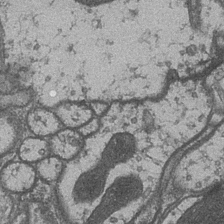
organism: Drosophila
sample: Optic medulla